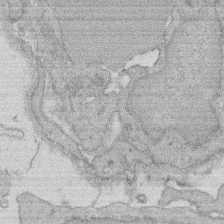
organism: Rat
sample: Salivary granule